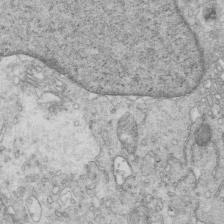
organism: Mouse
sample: Multiciliated cells